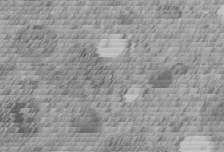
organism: C. elegans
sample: C. elegans embryo early stage